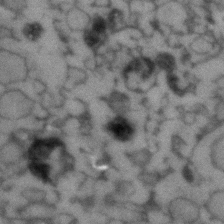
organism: Human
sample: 1205lu cells